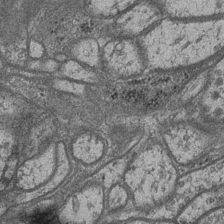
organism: Drosophila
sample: Optic medulla